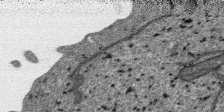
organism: Human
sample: Lung epithelial cells infected with SARS-CoV-2